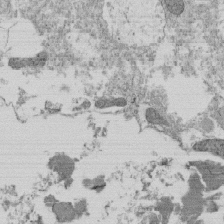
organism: Tetrahymena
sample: Cilia in tetrahymena